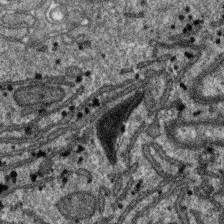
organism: Human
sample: Lung epithelial cells infected with SARS-CoV-2